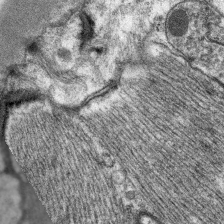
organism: C. elegans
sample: Pharynx